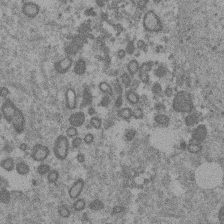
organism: Mouse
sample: Dividing mouse embryo 1 cell stage